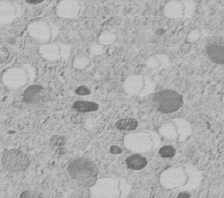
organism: C. elegans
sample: C. elegans embryo early stage